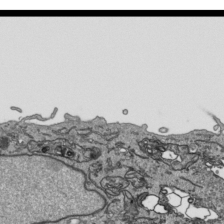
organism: Human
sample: Mitochondria in HCT116 cells